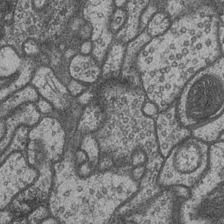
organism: Drosophila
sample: Optic medulla